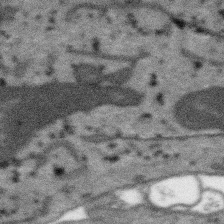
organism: Human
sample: Lung epithelial cells infected with SARS-CoV-2